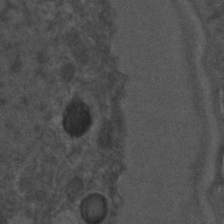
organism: C. elegans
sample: C. elegans embryo